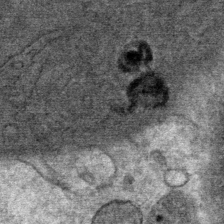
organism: Mouse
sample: Mouse Salivary gland